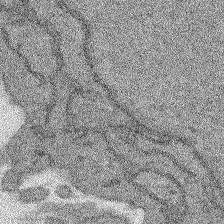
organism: Human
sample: HeLa cells